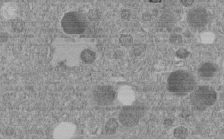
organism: C. elegans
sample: C. elegans embryo early stage